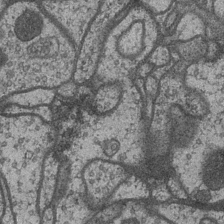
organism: Drosophila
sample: Optic medulla